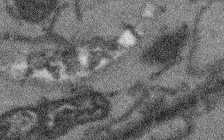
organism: Arabidopsis thaliana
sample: Root tip